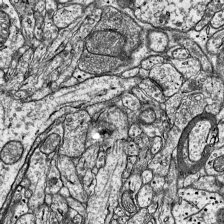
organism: Mouse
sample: Visual Cortex